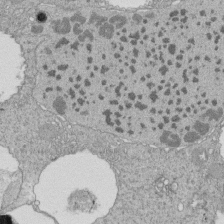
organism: Tetrahymena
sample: Cilia in tetrahymena